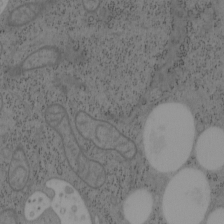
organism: Mouse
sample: OT-I killer T cells with ID8 ovarian cancer cells